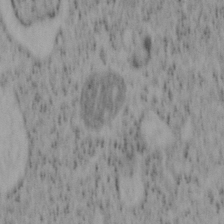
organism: Mouse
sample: OT-I killer T cells with ID8 ovarian cancer cells